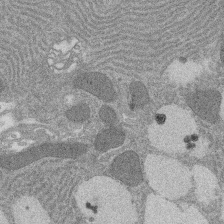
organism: Rat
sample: Salivary granule